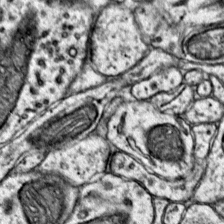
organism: Mouse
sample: Primary visual cortex